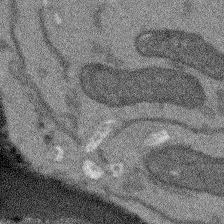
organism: Arabidopsis thaliana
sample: Root tip